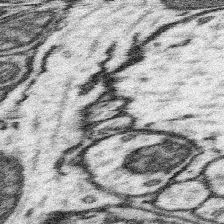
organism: Mouse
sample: Somatosensory cortex neuropil